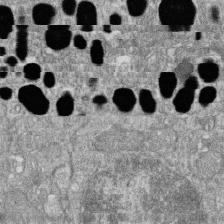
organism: Zebrafish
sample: Cilia; retinal pigment epithelium